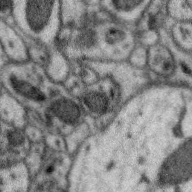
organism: Zebra finch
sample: Brain